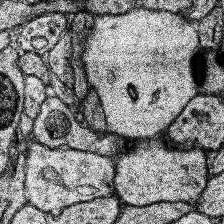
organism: Human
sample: Temporal Lobe